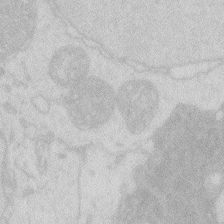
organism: Zebrafish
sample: Macrophage